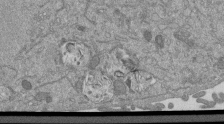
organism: Mouse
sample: ED-1 cell nuclei; centrioles